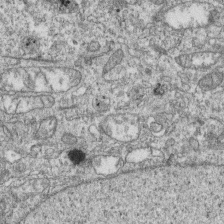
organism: Human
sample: HeLa cell HIV synapse